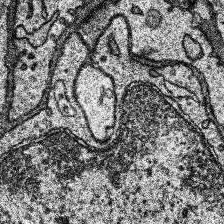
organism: Human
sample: Temporal Lobe